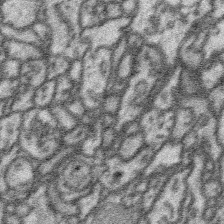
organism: Platynereis dumerilii